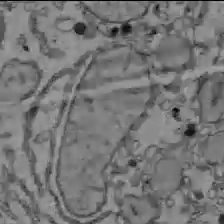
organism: C57BL Mouse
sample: Liver